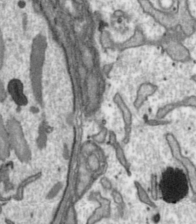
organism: Toxoplasma gondii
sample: Parasites in a vacuole inside a host cell